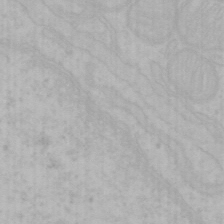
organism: Mouse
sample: Choroid plexus